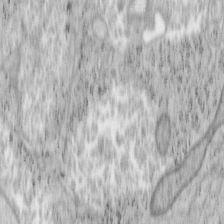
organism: Human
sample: HeLa cells